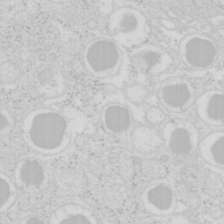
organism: Mouse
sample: Pancreas